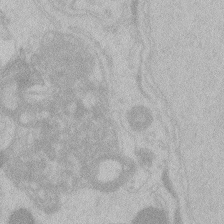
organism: Zebrafish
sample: Macrophage infected with Toxoplasma gondii